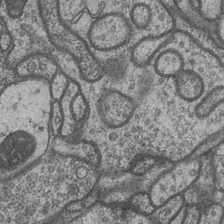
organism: Drosophila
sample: Optic medulla